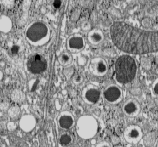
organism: C57BL Mouse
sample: Pancreatic islet